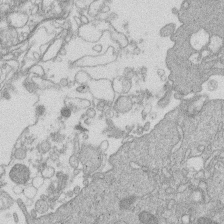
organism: Human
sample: Macrophage cells